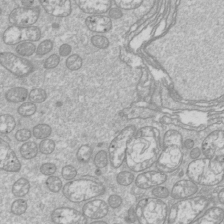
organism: Drosophila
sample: Cell division; meiosis; drosophila spermatocytes